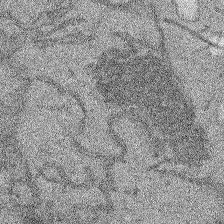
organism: Human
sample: HeLa cells